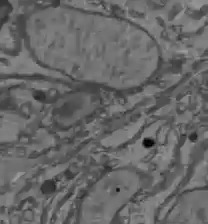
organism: C57BL Mouse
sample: Liver